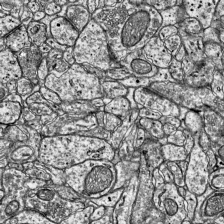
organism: Mouse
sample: Visual Cortex